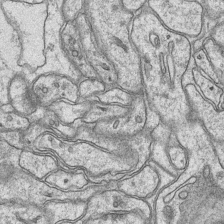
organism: Mouse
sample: CA1 Hippocampus